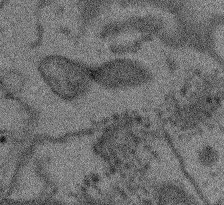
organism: Arabidopsis thaliana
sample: Root tip